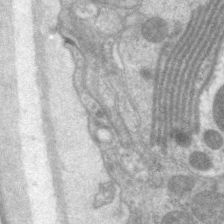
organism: C. elegans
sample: Pharynx